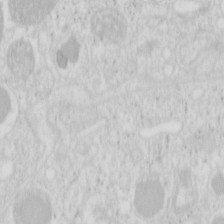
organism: Mouse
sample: Pancreas